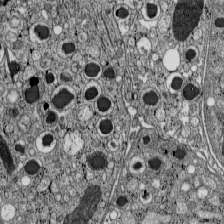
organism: C57BL Mouse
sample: Pancreatic islet